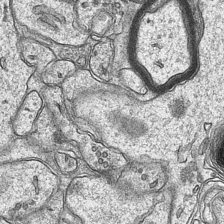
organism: Mouse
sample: CA1 Hippocampus